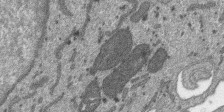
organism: Human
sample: Lung epithelial cells infected with SARS-CoV-2